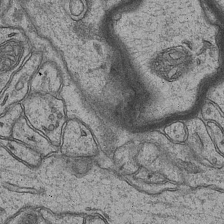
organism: Mouse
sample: CA1 Hippocampus